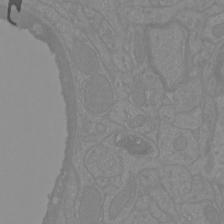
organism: Mouse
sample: Cortical neurons